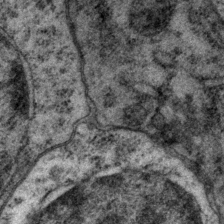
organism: P. pacificus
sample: Pharynx